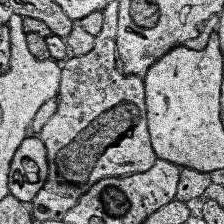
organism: Human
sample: Temporal Lobe